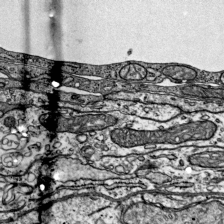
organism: Mouse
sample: Visual Cortex